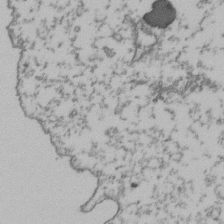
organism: Human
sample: Activated Jurkat CD4+ T cells